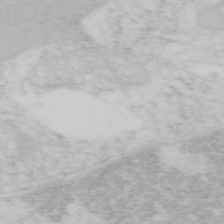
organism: Mouse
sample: OT-I killer T cells with ID8 ovarian cancer cells